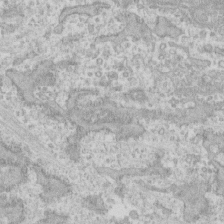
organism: Human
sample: CRL-1474